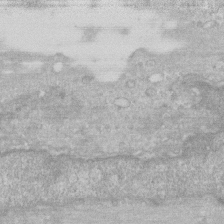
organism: Human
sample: Fibroblast cells